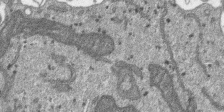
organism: Human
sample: Lung epithelial cells infected with SARS-CoV-2